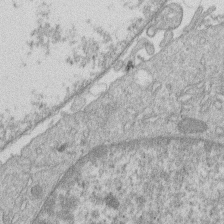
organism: Human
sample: Macrophage cells